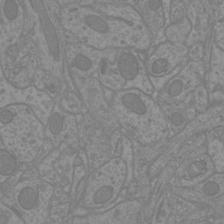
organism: Mouse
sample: Cortical neurons